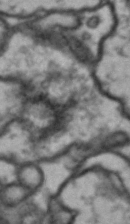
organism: Drosophila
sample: Brain